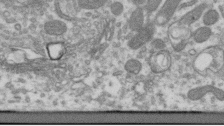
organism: Human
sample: Centriole in RPE cells